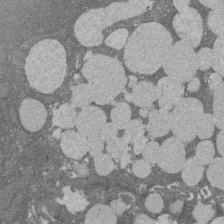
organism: Rat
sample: Salivary granule